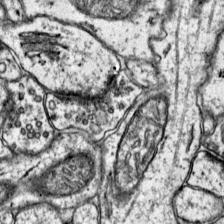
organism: Mouse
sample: Primary visual cortex